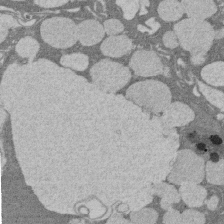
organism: Rat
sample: Salivary granule